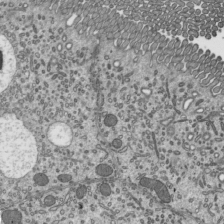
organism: Mouse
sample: Mouse epididymis efferent ductule cilia